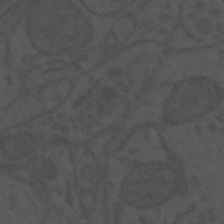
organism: Mouse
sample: Suprachiasmatic nucleus